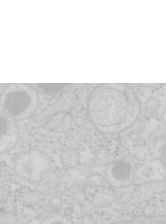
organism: Mouse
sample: Pancreas